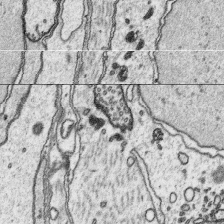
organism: Platynereis dumerilii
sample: Parapodia